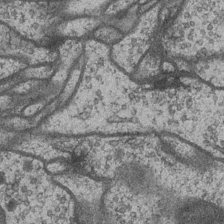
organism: Drosophila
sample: Optic medulla